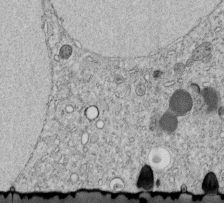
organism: C. elegans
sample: C. elegans embryo early stage